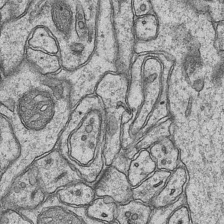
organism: Mouse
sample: CA1 Hippocampus